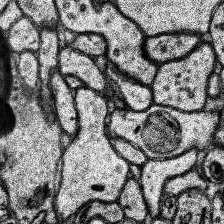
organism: Human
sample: Temporal Lobe